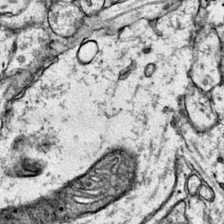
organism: Mouse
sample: Primary visual cortex